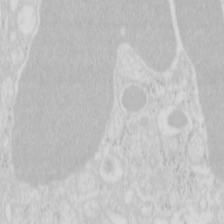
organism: Mouse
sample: Pancreas